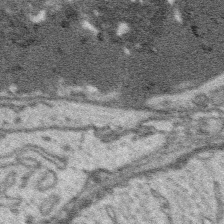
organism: Platynereis dumerilii